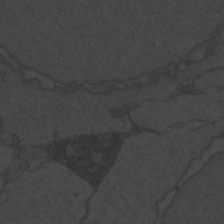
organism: Zebrafish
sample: Macrophage infected with Toxoplasma gondii